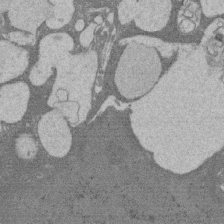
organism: Rat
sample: Salivary granule